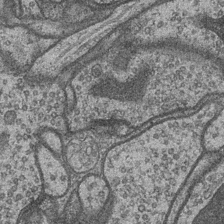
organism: Drosophila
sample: Optic medulla